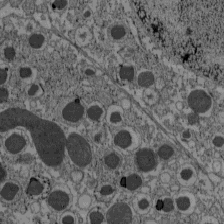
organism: C57BL Mouse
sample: Pancreatic islet